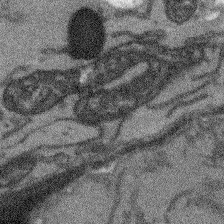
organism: Arabidopsis thaliana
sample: Root tip